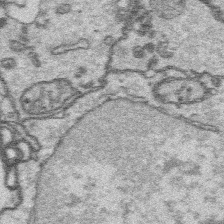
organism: Platynereis dumerilii